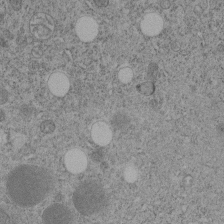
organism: C. elegans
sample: C. elegans embryo early stage